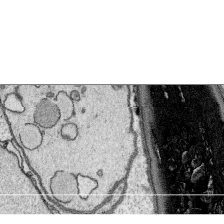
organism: Platynereis dumerilii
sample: Parapodia